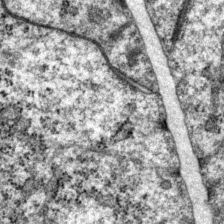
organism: P. pacificus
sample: Pharynx